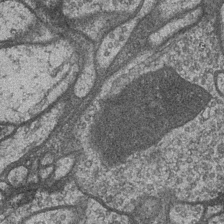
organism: Drosophila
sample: Optic medulla